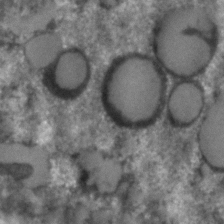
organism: C. elegans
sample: C. elegans embryo